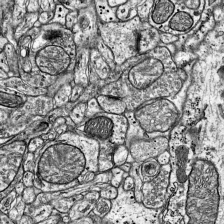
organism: Mouse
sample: Visual Cortex